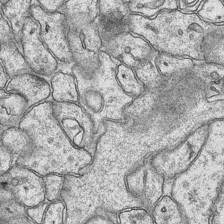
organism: Mouse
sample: CA1 Hippocampus